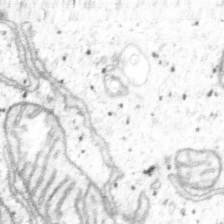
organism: Human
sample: HeLa cells